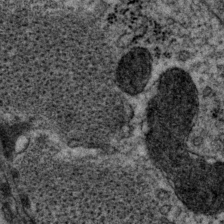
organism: P. pacificus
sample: Pharynx